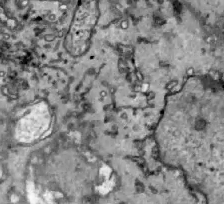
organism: Zebrafish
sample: Actinotrichia fibers